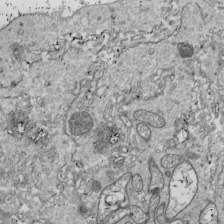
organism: Drosophila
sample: Cell division; meiosis; drosophila spermatocytes